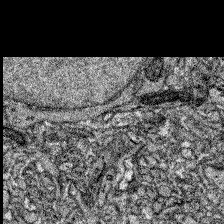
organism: Zebrafish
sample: Larval olfactory bulb